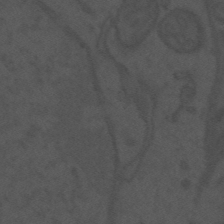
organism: Mouse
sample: Suprachiasmatic nucleus